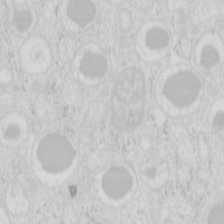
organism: Mouse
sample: Pancreas